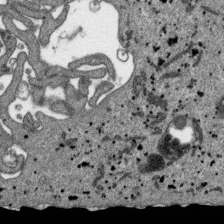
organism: Human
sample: Lung epithelial cells, uninfected (mock) control